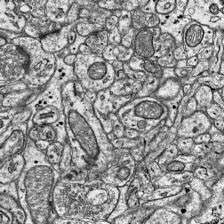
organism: Mouse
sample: Visual Cortex